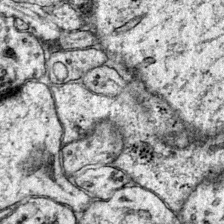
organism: Mouse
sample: Primary visual cortex